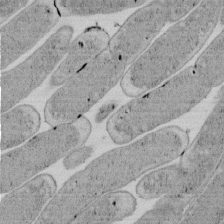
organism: E. coli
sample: Bacterial nucleoid